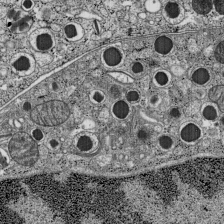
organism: C57BL Mouse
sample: Pancreatic islet